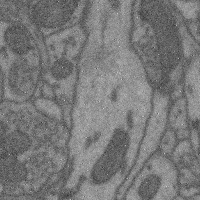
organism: Mouse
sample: Cerebral cortex